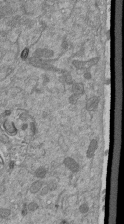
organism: Mouse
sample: ED-1 cell nuclei; centrioles